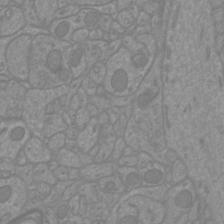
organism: Mouse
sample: Cortical neurons